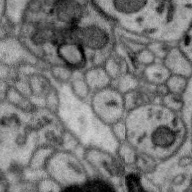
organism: Zebra finch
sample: Brain